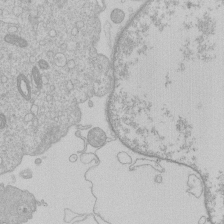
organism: Human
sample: Macrophage cells